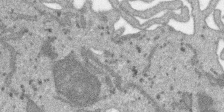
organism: Human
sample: Lung epithelial cells infected with SARS-CoV-2